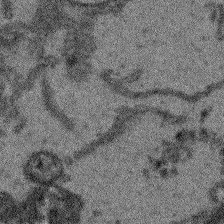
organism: Arabidopsis thaliana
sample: Root tip